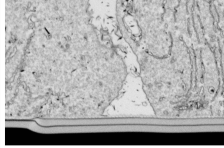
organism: Drosophila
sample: Cell division; meiosis; drosophila spermatocytes